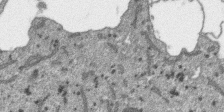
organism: Human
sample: Lung epithelial cells infected with SARS-CoV-2